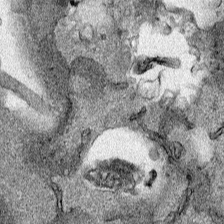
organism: Human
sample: Mitochondria in HCT116 cells